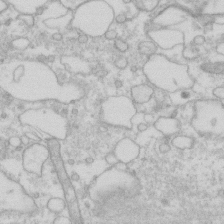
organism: Human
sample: Fibroblast cells